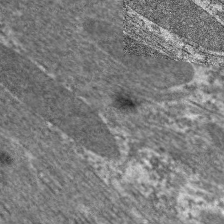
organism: C. elegans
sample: Pharynx